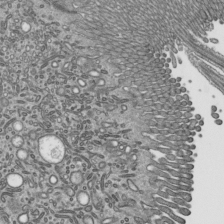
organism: Mouse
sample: Mouse epididymis efferent ductule cilia